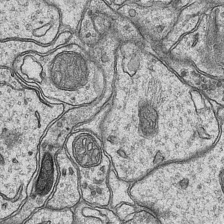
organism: Mouse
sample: CA1 Hippocampus